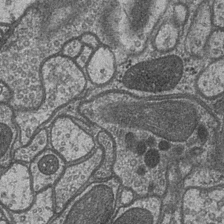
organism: Drosophila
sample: Optic medulla